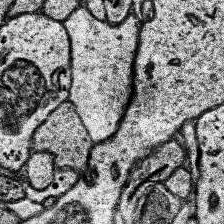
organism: Human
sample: Temporal Lobe